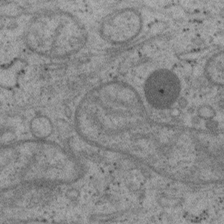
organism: Human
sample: HeLa cells